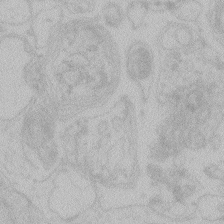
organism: Zebrafish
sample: Macrophage infected with Toxoplasma gondii